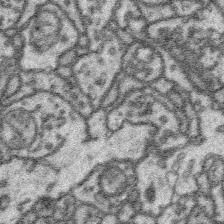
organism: Platynereis dumerilii